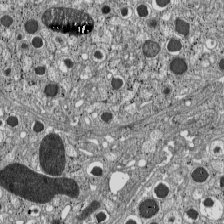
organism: C57BL Mouse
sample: Pancreatic islet